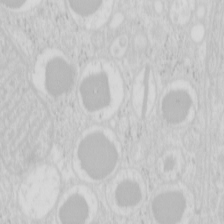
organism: Mouse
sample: Pancreas